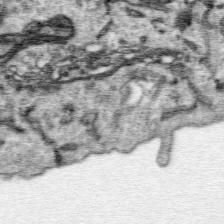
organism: Human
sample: HeLa cells